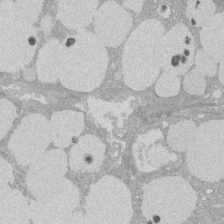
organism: Rat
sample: Salivary granule